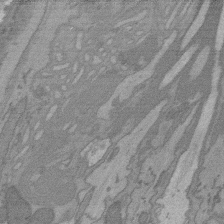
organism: C. elegans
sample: AFD neurons C. elegans